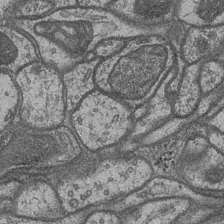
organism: Drosophila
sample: Optic medulla